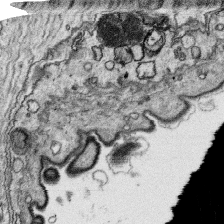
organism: Platynereis dumerilii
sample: Parapodia